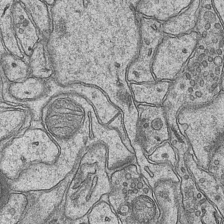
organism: Mouse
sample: CA1 Hippocampus